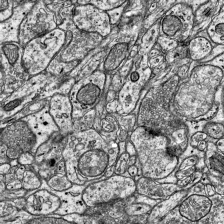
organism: Mouse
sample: Visual Cortex